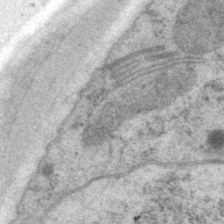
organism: P. pacificus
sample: Pharynx